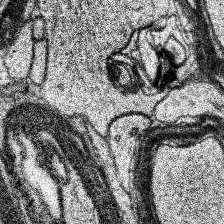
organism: Human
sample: Temporal Lobe